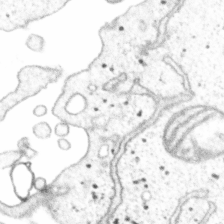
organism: Human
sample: HeLa cells